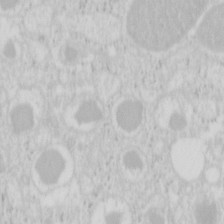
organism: Mouse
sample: Pancreas